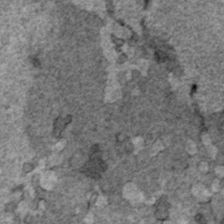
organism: Human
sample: Mitochondria in HCT116 cells